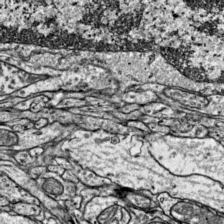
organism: Mouse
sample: Visual Cortex